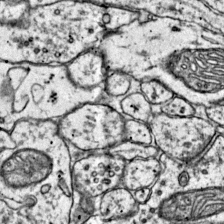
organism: Mouse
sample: Primary visual cortex